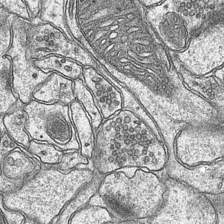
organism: Mouse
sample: CA1 Hippocampus